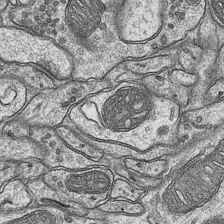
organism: Mouse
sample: CA1 Hippocampus